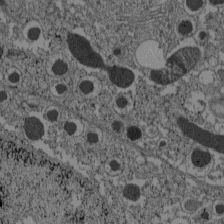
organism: C57BL Mouse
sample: Pancreatic islet